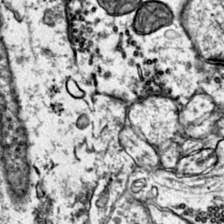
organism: Mouse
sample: Primary visual cortex